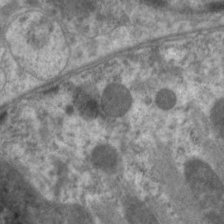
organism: C. elegans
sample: Pharynx